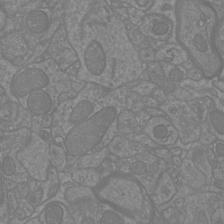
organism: Mouse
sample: Cortical neurons